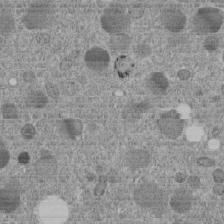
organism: C. elegans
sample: C. elegans embryo early stage